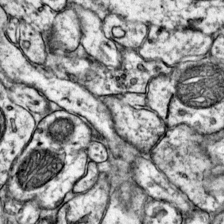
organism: Mouse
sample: Primary visual cortex